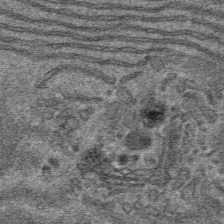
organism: Mouse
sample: Mouse hepatocytes